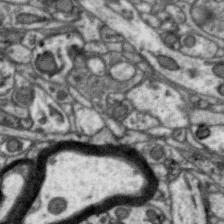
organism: Zebra finch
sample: Brain